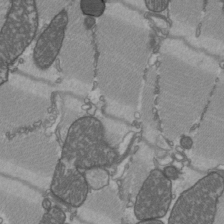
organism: C57BL Mouse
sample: Heart